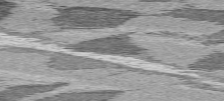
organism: C57BL Mouse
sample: Heart